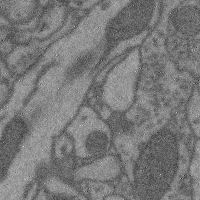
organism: Mouse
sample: Cerebral cortex